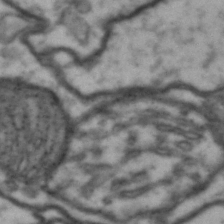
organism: Drosophila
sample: Brain